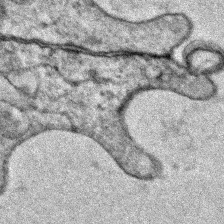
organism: Zebrafish